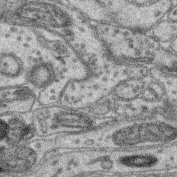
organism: Mouse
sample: Retina